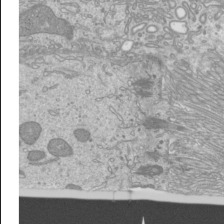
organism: Mouse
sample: Cilia; mouse epididymis